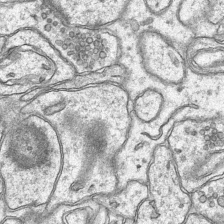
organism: Mouse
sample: CA1 Hippocampus